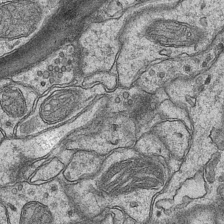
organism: Mouse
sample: CA1 Hippocampus